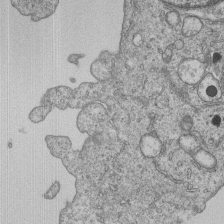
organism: Human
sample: MDA-MB-231 cells